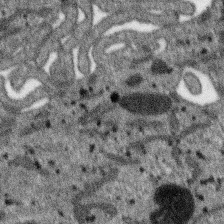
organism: Human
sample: Lung epithelial cells infected with SARS-CoV-2